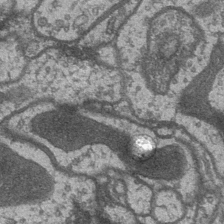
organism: Drosophila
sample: Optic medulla